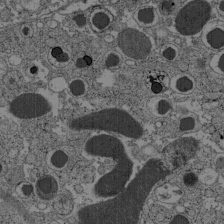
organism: C57BL Mouse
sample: Pancreatic islet